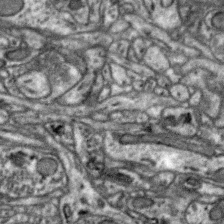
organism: Zebra finch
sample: Brain